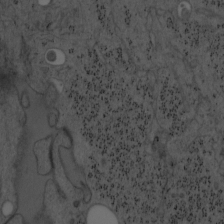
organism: Mouse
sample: OT-I killer T cells with ID8 ovarian cancer cells